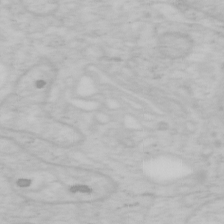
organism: Mouse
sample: OT-I killer T cells with ID8 ovarian cancer cells